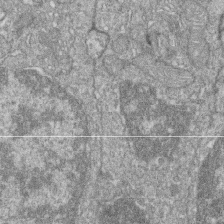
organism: Zebrafish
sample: Cilia; retinal pigment epithelium